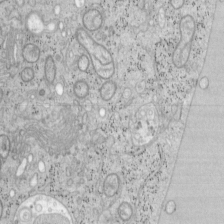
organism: Mouse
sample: OT-I killer T cells with ID8 ovarian cancer cells